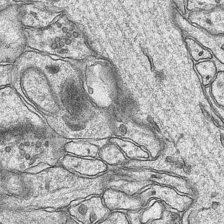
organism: Mouse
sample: CA1 Hippocampus